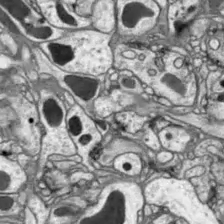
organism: Drosophila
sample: Optic lobe